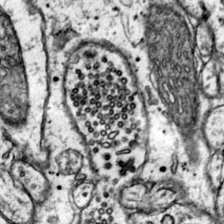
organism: Mouse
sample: Primary visual cortex